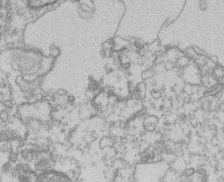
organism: Mouse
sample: T cell stromal cell synapse